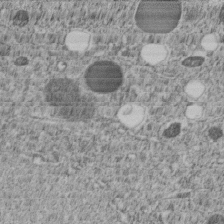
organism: C. elegans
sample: C. elegans embryo early stage